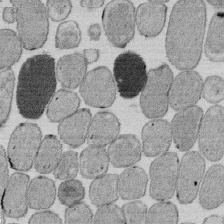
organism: E. coli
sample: Bacterial nucleoid